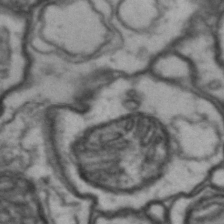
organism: Drosophila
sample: Brain